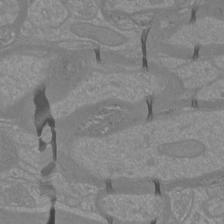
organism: Mouse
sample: Cortical neurons